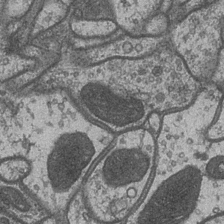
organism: Drosophila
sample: Optic medulla